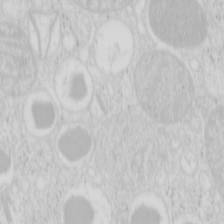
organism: Mouse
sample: Pancreas